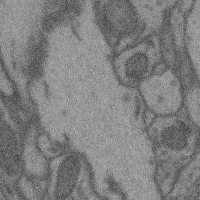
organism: Mouse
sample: Cerebral cortex